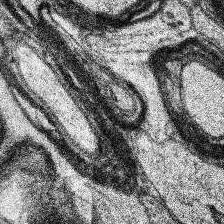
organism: Human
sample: Temporal Lobe